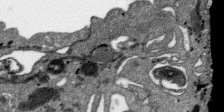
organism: Human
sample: Lung epithelial cells, uninfected (mock) control